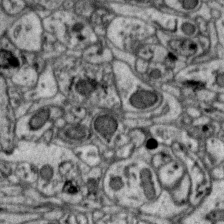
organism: Zebra finch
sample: Brain